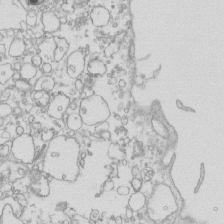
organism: Mouse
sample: Macrophages